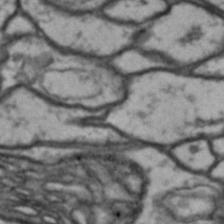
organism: Drosophila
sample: Brain